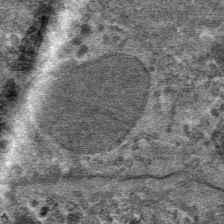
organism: Mouse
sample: Mouse hepatocytes